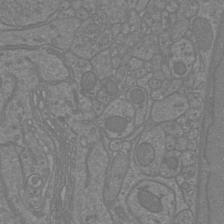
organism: Mouse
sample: Cortical neurons